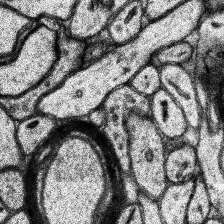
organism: Human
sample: Temporal Lobe